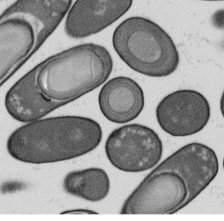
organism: B. subtilis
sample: Bacterial spore